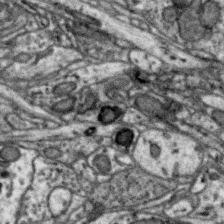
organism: Zebra finch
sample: Brain